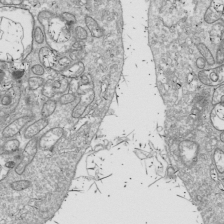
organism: Drosophila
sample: Cell division; meiosis; drosophila spermatocytes